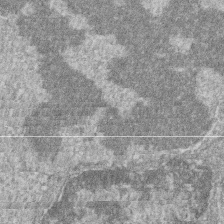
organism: Zebrafish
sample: Cilia; retinal pigment epithelium